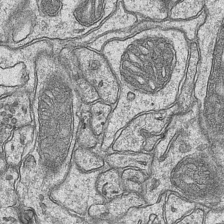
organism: Mouse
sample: CA1 Hippocampus